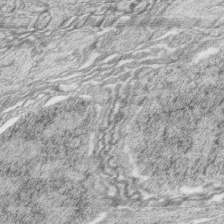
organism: Zebrafish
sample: synaptic ribbons in rod cells and cone cells